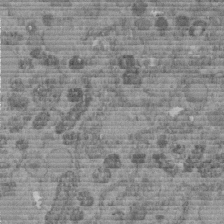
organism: C. elegans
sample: C. elegans embryo early stage